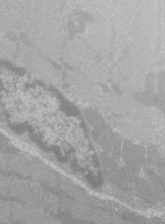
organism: C57BL Mouse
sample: Tibialis anterior muscle cell